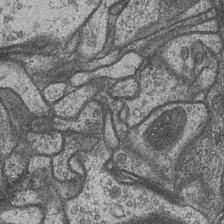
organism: Drosophila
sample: Optic medulla